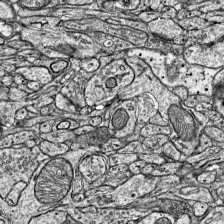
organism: Mouse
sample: Visual Cortex